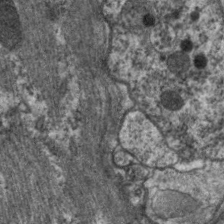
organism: C. elegans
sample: Pharynx